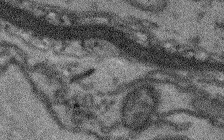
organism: Arabidopsis thaliana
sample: Root tip